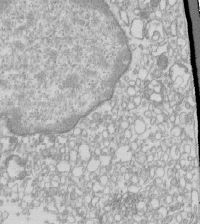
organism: Mouse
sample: Macrophages